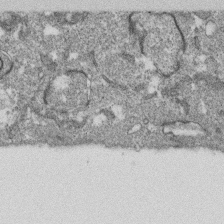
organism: African green monkey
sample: Vero E6 cells infected with SARS-CoV-2